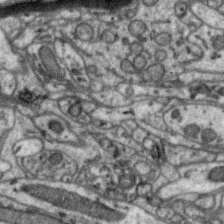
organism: Zebra finch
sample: Brain